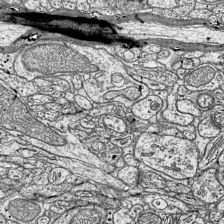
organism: Mouse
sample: Visual Cortex